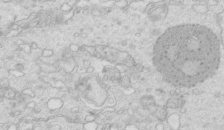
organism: Mouse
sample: Multiciliated cells